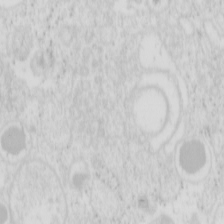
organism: Mouse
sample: Pancreas